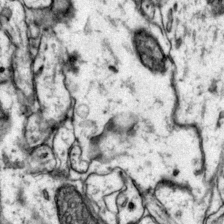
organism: Mouse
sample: Primary visual cortex